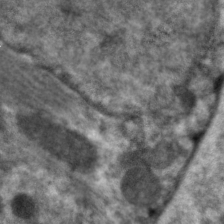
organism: C. elegans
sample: Pharynx